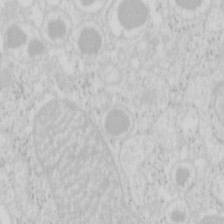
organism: Mouse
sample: Pancreas